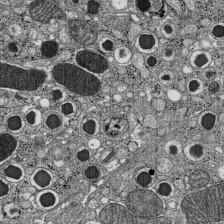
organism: C57BL Mouse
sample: Pancreatic islet